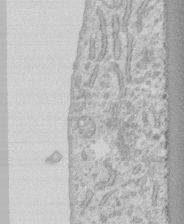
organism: Human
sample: CRL-1474